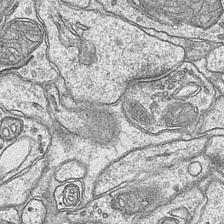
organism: Mouse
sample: CA1 Hippocampus